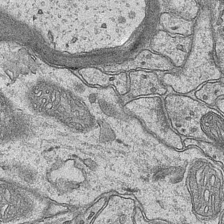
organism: Mouse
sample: CA1 Hippocampus